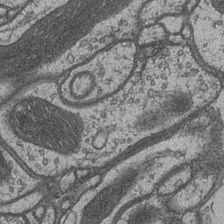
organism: Drosophila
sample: Optic medulla